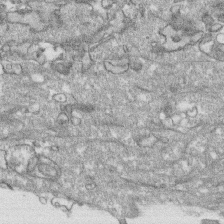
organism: Human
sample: CRL-1474